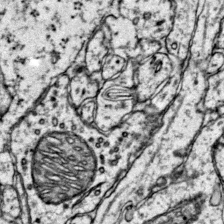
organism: Mouse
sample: Primary visual cortex